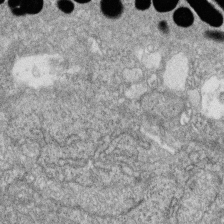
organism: Zebrafish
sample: Cilia; retinal pigment epithelium